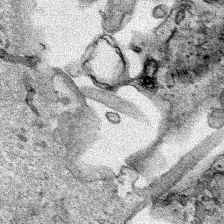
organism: Human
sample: Mitochondria in HCT116 cells